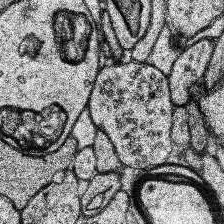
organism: Human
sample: Temporal Lobe